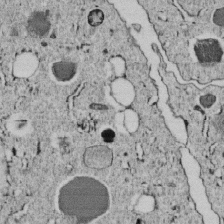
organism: C. elegans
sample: C. elegans embryo early stage